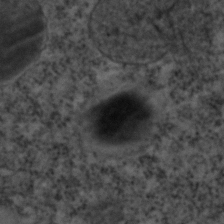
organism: C. elegans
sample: C. elegans embryo